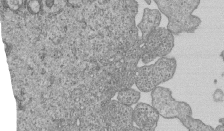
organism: Human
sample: MDA-MB-231 cells